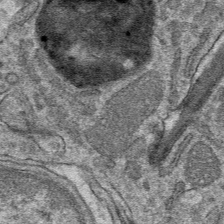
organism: Mouse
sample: Mouse hepatocytes